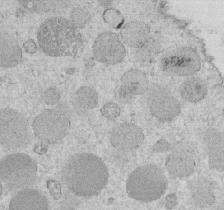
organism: C. elegans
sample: C. elegans embryo early stage